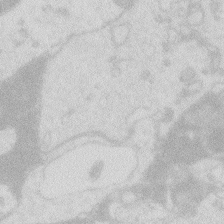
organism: Zebrafish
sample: Macrophage